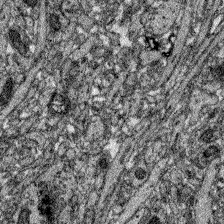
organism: Zebrafish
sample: Larval olfactory bulb